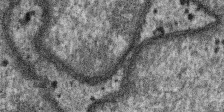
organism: Human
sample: Lung epithelial cells infected with SARS-CoV-2